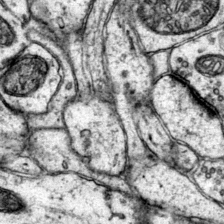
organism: Mouse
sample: Primary visual cortex